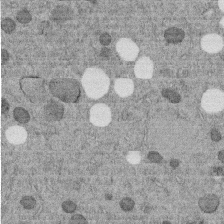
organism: C. elegans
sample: C. elegans embryo early stage